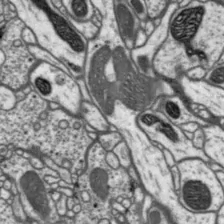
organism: Drosophila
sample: Protocerebral bridge